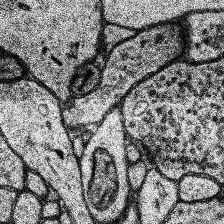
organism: Human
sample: Temporal Lobe